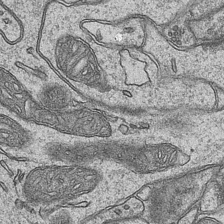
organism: Mouse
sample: CA1 Hippocampus